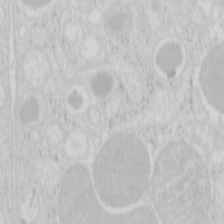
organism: Mouse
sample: Pancreas